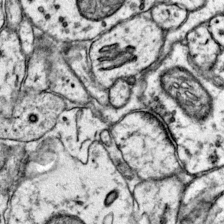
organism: Mouse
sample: Primary visual cortex